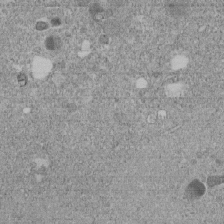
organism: C. elegans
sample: C. elegans embryo early stage